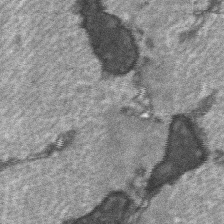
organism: C57BL Mouse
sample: Soleus